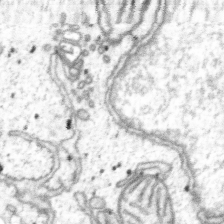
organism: Human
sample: HeLa cells